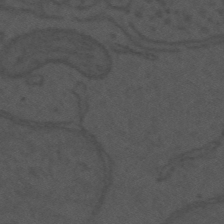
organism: Mouse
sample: Suprachiasmatic nucleus